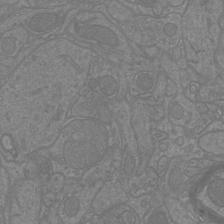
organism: Mouse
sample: Cortical neurons